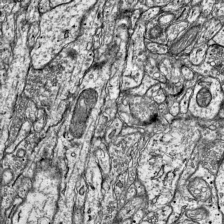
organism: Mouse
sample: Visual Cortex